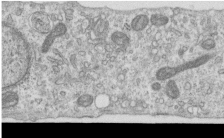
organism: Human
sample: Centriole in RPE cells